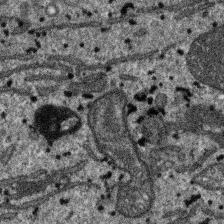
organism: Human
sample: Lung epithelial cells infected with SARS-CoV-2